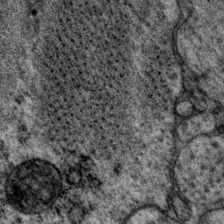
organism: P. pacificus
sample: Pharynx